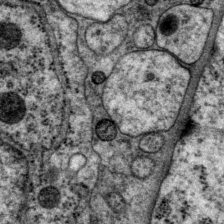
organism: P. pacificus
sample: Pharynx